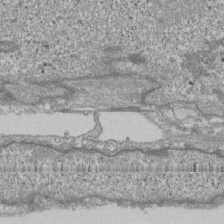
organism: Human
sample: Fibroblast cells